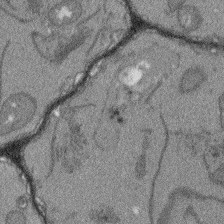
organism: Arabidopsis thaliana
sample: Root tip